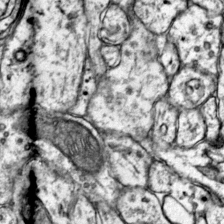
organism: Mouse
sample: Primary visual cortex